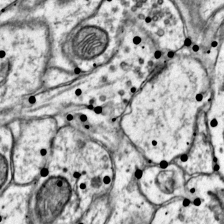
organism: Mouse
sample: Primary visual cortex